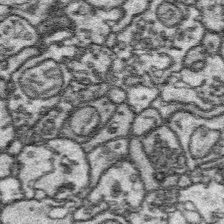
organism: Platynereis dumerilii